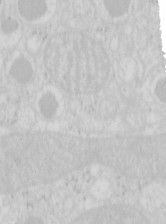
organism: Mouse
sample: Pancreas